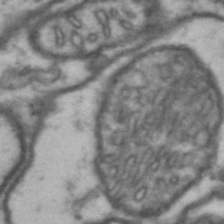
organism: Drosophila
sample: Brain